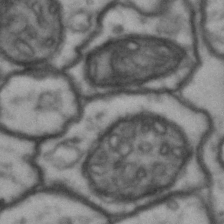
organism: Drosophila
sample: Brain